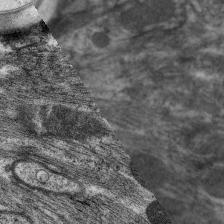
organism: C. elegans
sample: Pharynx